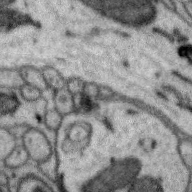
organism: Zebra finch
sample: Brain